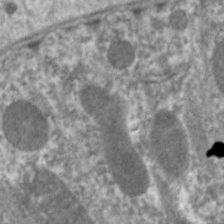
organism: C. elegans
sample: Pharynx